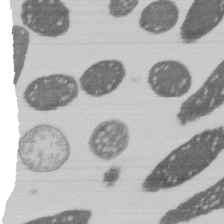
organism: E. coli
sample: Bacterial nucleoid